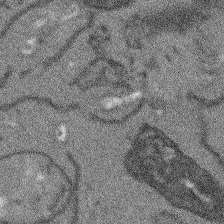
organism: Arabidopsis thaliana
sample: Root tip